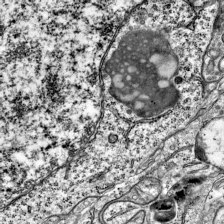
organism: Mouse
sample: Visual Cortex